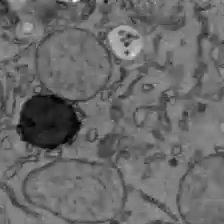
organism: C57BL Mouse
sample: Liver